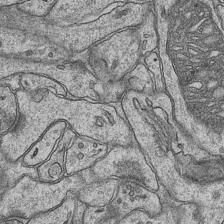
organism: Mouse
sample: CA1 Hippocampus